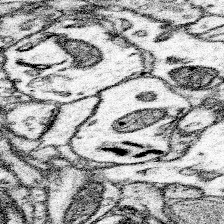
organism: Mouse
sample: Somatosensory cortex neuropil